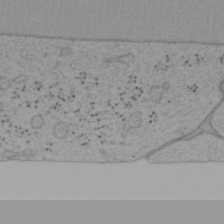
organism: Human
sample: HeLa cells